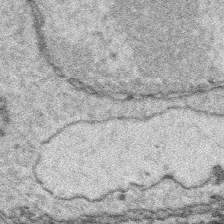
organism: Platynereis dumerilii